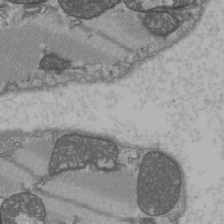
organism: C57BL Mouse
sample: Heart